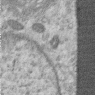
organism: Human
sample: Centriole in RPE cells